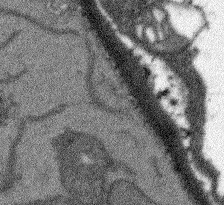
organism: Arabidopsis thaliana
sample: Root tip